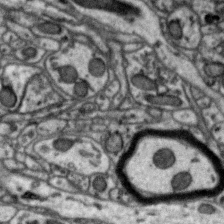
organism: Zebra finch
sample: Brain